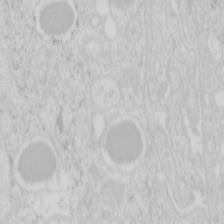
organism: Mouse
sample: Pancreas